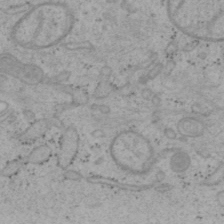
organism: Human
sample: HeLa cells